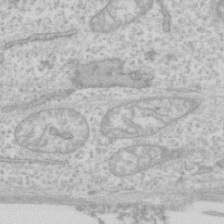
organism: Human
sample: Fibroblast cells